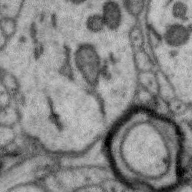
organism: Zebra finch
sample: Brain